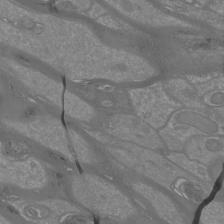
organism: Mouse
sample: Cortical neurons